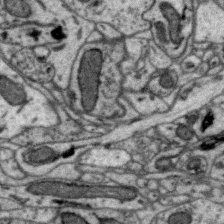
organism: Zebra finch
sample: Brain